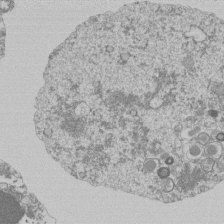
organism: Mouse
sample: Activated Pmel transgenic CD8+ T Cells